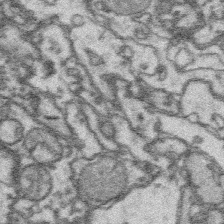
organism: Platynereis dumerilii